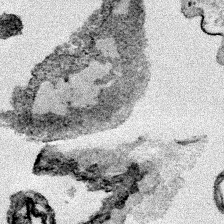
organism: Human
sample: Mitochondria in HCT116 cells